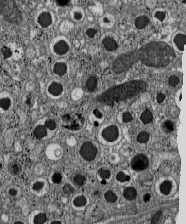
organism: C57BL Mouse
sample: Pancreatic islet